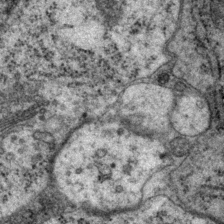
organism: P. pacificus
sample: Pharynx